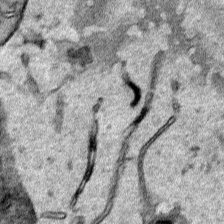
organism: Human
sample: Mitochondria in HCT116 cells